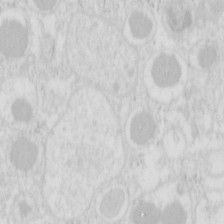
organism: Mouse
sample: Pancreas